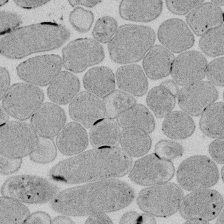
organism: E. coli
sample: Bacterial nucleoid